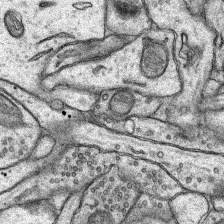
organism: Rat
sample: Hippocampus